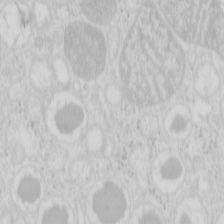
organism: Mouse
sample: Pancreas